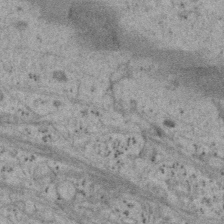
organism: Human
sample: HeLa cells